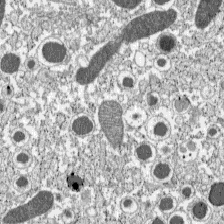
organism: C57BL Mouse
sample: Pancreatic islet